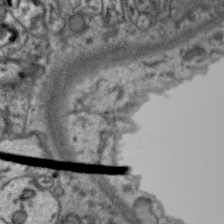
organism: Zebra finch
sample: Brain